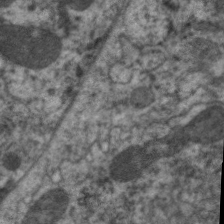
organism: C. elegans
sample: Pharynx